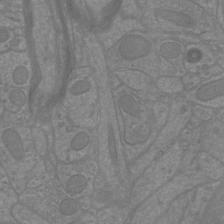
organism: Mouse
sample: Cortical neurons